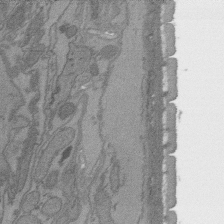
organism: C. elegans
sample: AFD neurons C. elegans